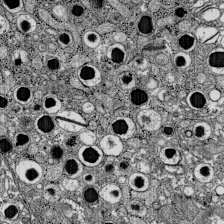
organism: C57BL Mouse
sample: Pancreatic islet